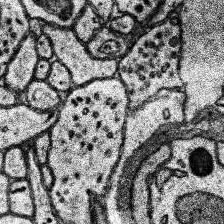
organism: Human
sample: Temporal Lobe